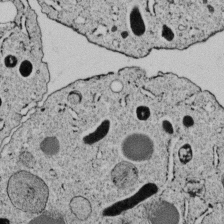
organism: C. elegans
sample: C. elegans embryo early stage